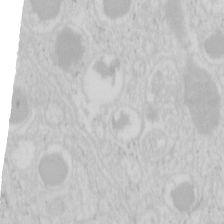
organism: Mouse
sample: Pancreas